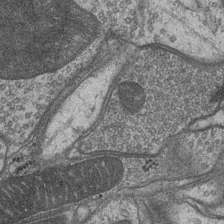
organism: Drosophila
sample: Optic medulla